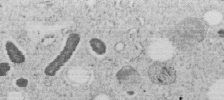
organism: C. elegans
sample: C. elegans embryo early stage